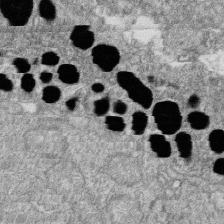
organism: Zebrafish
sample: Cilia; retinal pigment epithelium